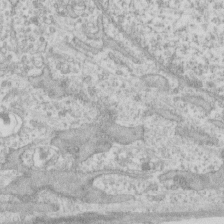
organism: Human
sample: Fibroblast cells